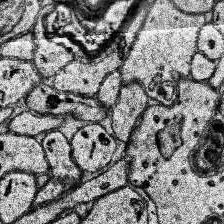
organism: Human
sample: Temporal Lobe